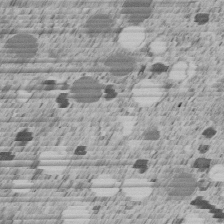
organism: C. elegans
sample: C. elegans embryo early stage